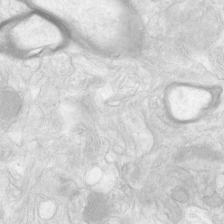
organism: Human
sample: Neocortex